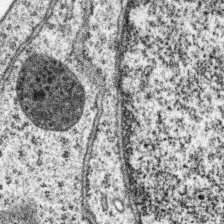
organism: Human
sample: HeLa cells